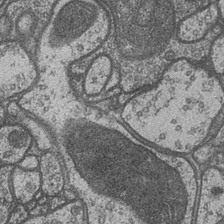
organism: Drosophila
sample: Optic medulla